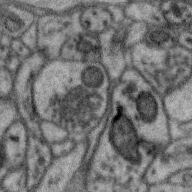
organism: Zebra finch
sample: Brain